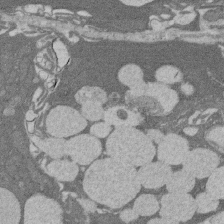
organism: Rat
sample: Salivary granule